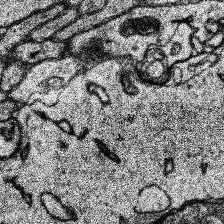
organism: Human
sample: Temporal Lobe